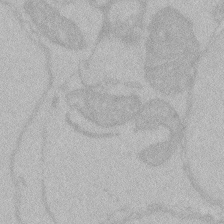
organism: Zebrafish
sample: Macrophage infected with Toxoplasma gondii